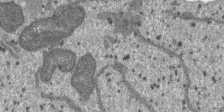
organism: Human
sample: Lung epithelial cells infected with SARS-CoV-2